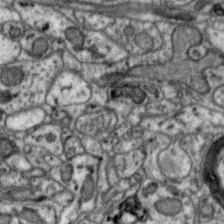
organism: Zebra finch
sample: Brain